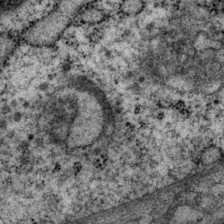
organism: P. pacificus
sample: Pharynx